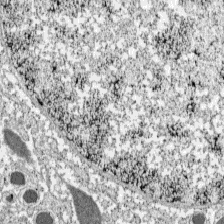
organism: C57BL Mouse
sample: Pancreatic islet